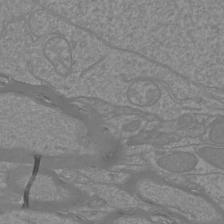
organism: Mouse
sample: Cortical neurons